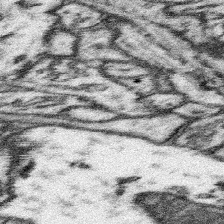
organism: Mouse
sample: Somatosensory cortex neuropil